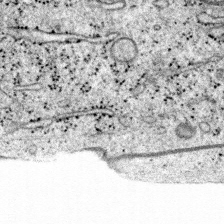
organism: Human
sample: HeLa cells